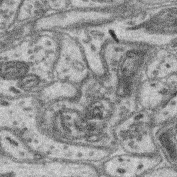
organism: Mouse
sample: Retina